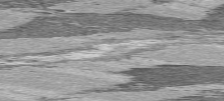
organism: C57BL Mouse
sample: Heart